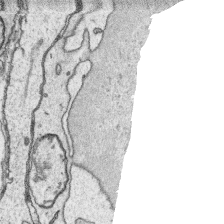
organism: Platynereis dumerilii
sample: Parapodia